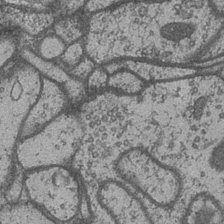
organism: Drosophila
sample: Optic medulla